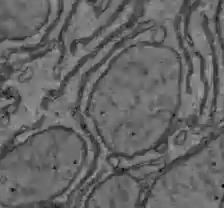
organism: C57BL Mouse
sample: Liver